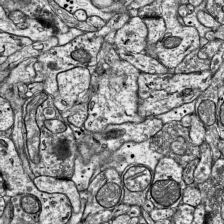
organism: Mouse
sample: Visual Cortex